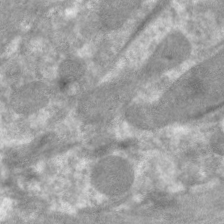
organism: C. elegans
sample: Pharynx